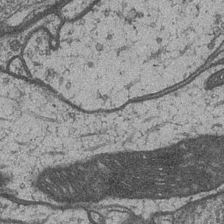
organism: Drosophila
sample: Optic medulla